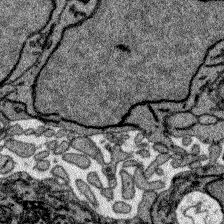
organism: Zebrafish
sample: Larval olfactory bulb